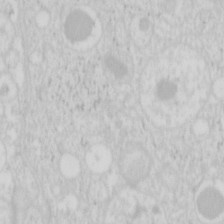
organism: Mouse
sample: Pancreas